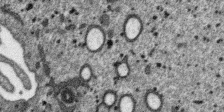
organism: Human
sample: Lung epithelial cells infected with SARS-CoV-2